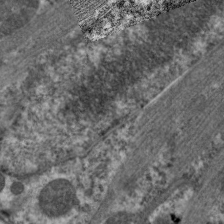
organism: C. elegans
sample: Pharynx